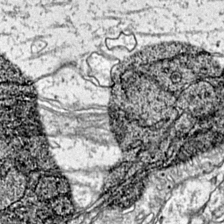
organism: Mouse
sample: Primary visual cortex